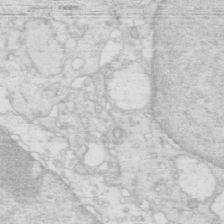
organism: Mouse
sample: Multiciliated cells